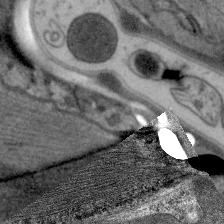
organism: C. elegans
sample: Pharynx